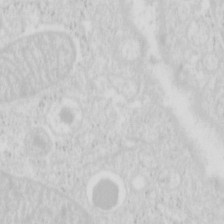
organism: Mouse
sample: Pancreas